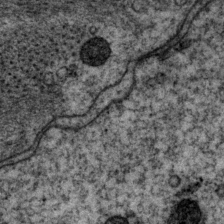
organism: P. pacificus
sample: Pharynx